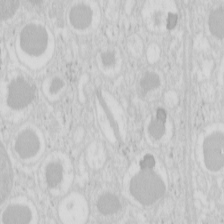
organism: Mouse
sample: Pancreas